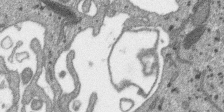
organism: Human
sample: Lung epithelial cells infected with SARS-CoV-2